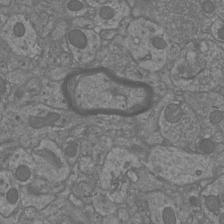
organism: Mouse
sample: Cortical neurons